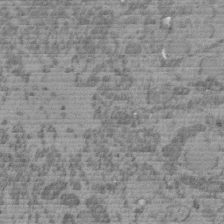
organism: C. elegans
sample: C. elegans embryo early stage